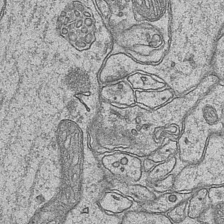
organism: Mouse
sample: CA1 Hippocampus